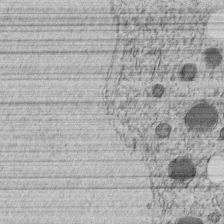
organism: C. elegans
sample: C. elegans embryo early stage